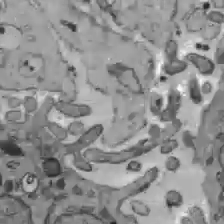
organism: C57BL Mouse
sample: Liver